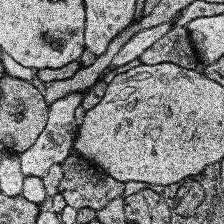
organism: Human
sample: Temporal Lobe